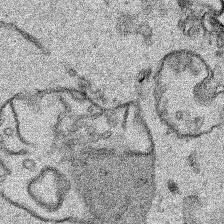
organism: Human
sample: Mitochondria in HCT116 cells